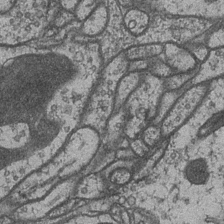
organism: Drosophila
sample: Optic medulla